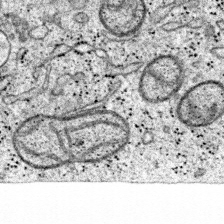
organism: Human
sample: HeLa cells